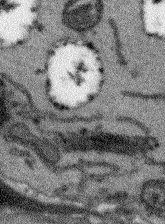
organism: Arabidopsis thaliana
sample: Root tip